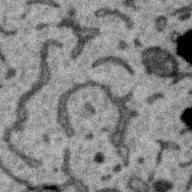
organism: Zebra finch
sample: Brain